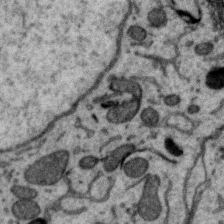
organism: Zebra finch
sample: Brain